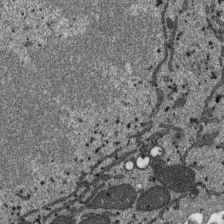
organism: Human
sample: Lung epithelial cells infected with SARS-CoV-2